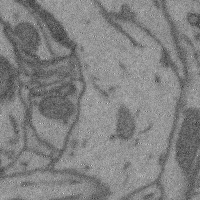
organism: Mouse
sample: Cerebral cortex